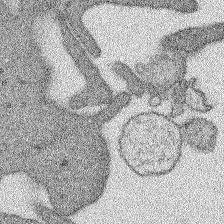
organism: Human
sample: HeLa cells